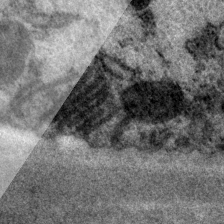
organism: P. pacificus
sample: Pharynx